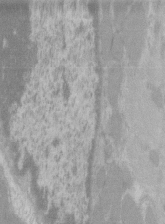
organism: C57BL Mouse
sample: Tibialis anterior muscle cell